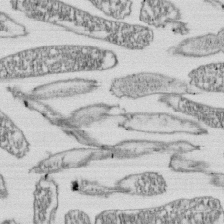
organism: E. coli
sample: Bacterial nucleoid